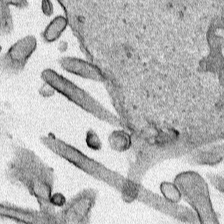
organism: Human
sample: Mitochondria in HCT116 cells